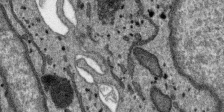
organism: Human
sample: Lung epithelial cells, uninfected (mock) control